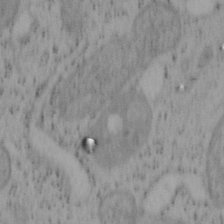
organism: Mouse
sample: OT-I killer T cells with ID8 ovarian cancer cells